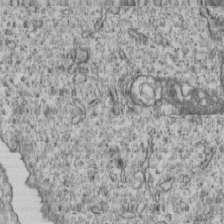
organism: Human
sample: MDA-MB-231 cells